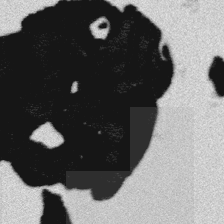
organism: Platynereis dumerilii